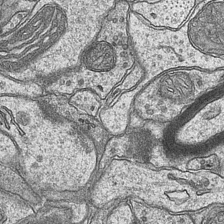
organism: Mouse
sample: CA1 Hippocampus